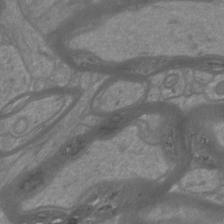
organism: Mouse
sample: Cortical neurons